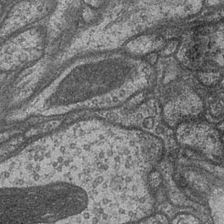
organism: Drosophila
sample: Optic medulla